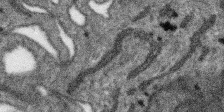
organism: Human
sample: Lung epithelial cells infected with SARS-CoV-2